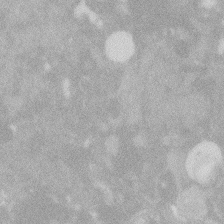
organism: Zebrafish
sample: Macrophage